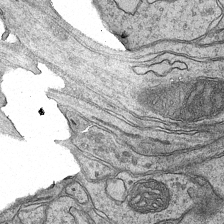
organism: Mouse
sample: CA1 Hippocampus